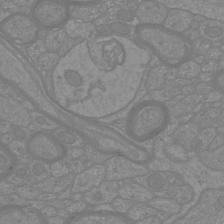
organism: Mouse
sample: Cortical neurons